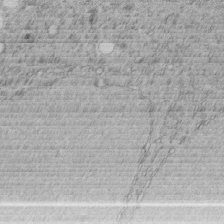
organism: C. elegans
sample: C. elegans embryo early stage